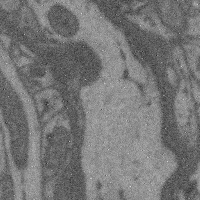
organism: Mouse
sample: Cerebral cortex